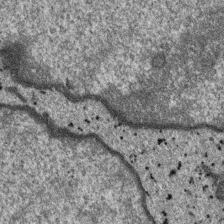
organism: Human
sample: Lung epithelial cells, uninfected (mock) control